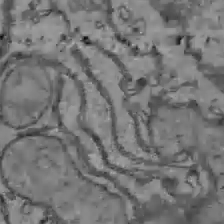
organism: C57BL Mouse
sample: Liver